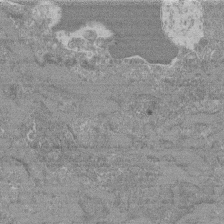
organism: Mouse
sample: Glomerulus